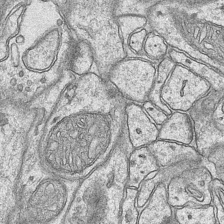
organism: Mouse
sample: CA1 Hippocampus